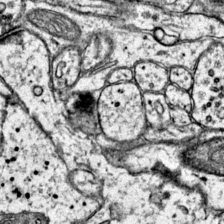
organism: Mouse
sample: Primary visual cortex